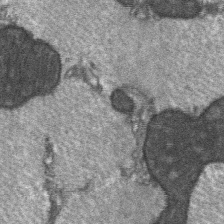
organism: C57BL Mouse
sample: Soleus